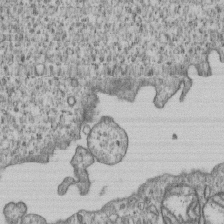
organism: Human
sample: MDA-MB-231 cells